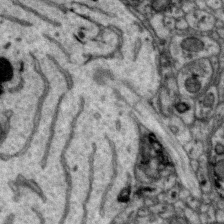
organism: Zebra finch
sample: Brain